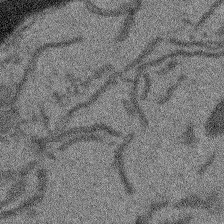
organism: Arabidopsis thaliana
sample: Root tip